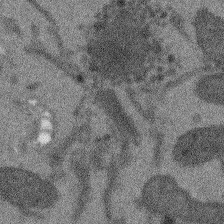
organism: Arabidopsis thaliana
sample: Root tip